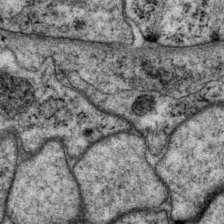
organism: P. pacificus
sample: Pharynx